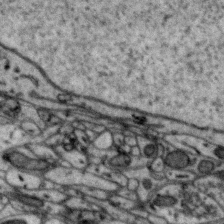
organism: Zebra finch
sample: Brain